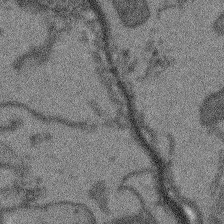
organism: Arabidopsis thaliana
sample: Root tip